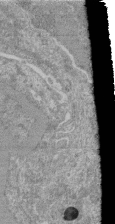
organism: Mouse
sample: Glomerulus